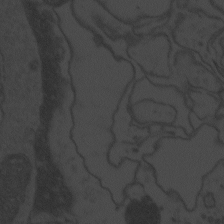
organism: Zebrafish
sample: Macrophage infected with Toxoplasma gondii